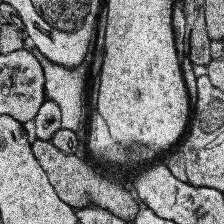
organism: Human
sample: Temporal Lobe